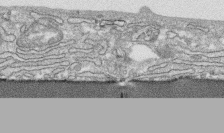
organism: Human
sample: CRL-1474